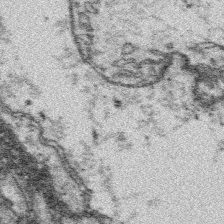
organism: Platynereis dumerilii